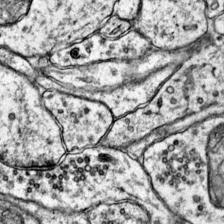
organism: Mouse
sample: Primary visual cortex